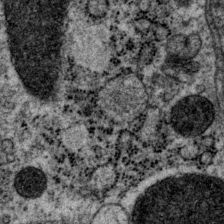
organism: P. pacificus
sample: Pharynx